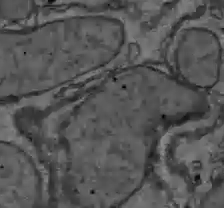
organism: C57BL Mouse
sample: Liver